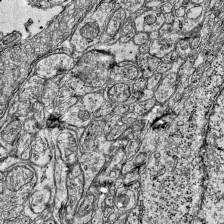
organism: Mouse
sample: Visual Cortex